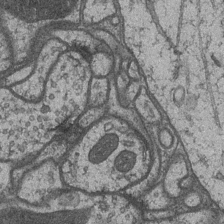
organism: Drosophila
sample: Optic medulla